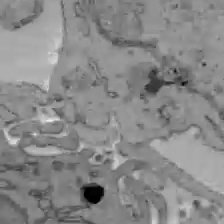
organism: C57BL Mouse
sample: Liver